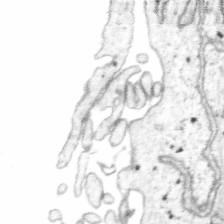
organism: Human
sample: HeLa cells